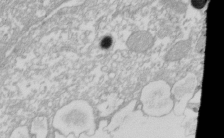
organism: Xenopus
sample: Cilia; centrioles in frog embryo cells